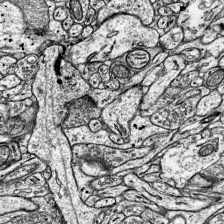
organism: Mouse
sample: Visual Cortex